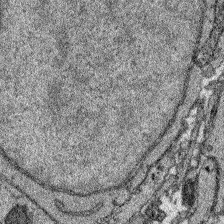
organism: Zebrafish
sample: Larval olfactory bulb